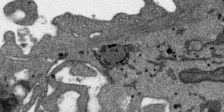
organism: Human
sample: Lung epithelial cells, uninfected (mock) control